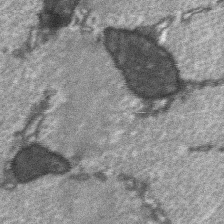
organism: C57BL Mouse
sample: Soleus